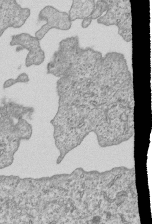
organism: Human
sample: MDA-MB-231 cells